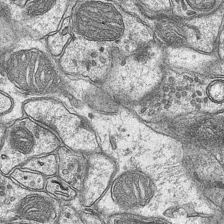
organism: Mouse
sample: CA1 Hippocampus